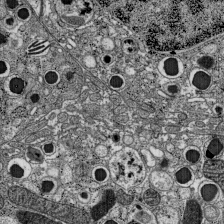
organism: C57BL Mouse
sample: Pancreatic islet